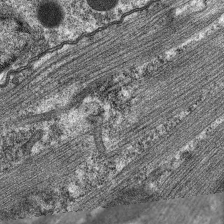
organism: C. elegans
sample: Pharynx